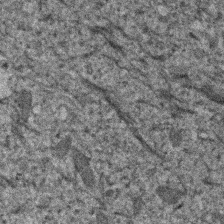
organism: Human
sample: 1205lu cells